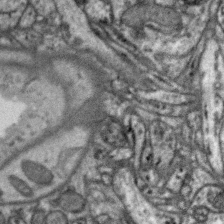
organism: Zebra finch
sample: Brain